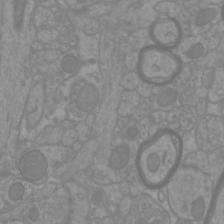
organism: Mouse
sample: Cortical neurons